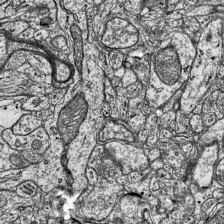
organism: Mouse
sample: Visual Cortex